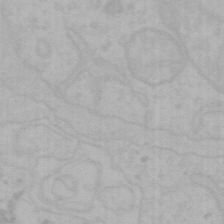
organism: Mouse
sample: Choroid plexus